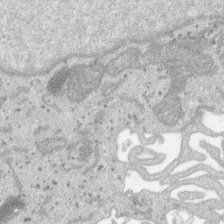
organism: Human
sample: Lung epithelial cells infected with SARS-CoV-2